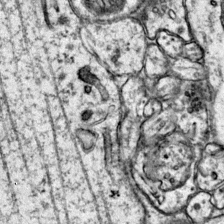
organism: Mouse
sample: Primary visual cortex